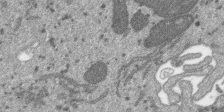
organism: Human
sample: Lung epithelial cells infected with SARS-CoV-2